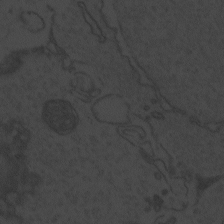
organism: Zebrafish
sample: Macrophage infected with Toxoplasma gondii